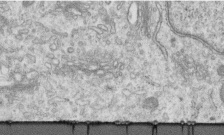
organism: Human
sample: Centriole in RPE cells